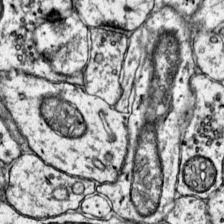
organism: Mouse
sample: Primary visual cortex